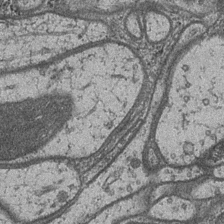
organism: Drosophila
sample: Optic medulla